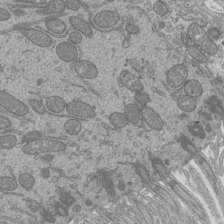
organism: Mouse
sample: Cilia; mouse epididymis